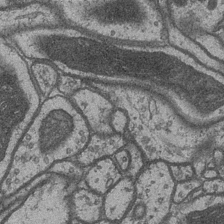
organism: Drosophila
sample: Optic medulla